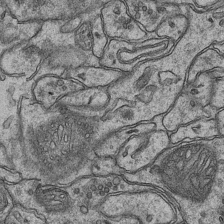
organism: Mouse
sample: CA1 Hippocampus